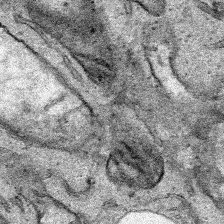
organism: Human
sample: Mitochondria in HCT116 cells